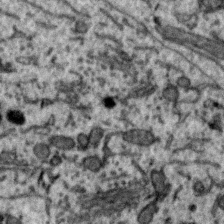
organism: Zebra finch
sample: Brain